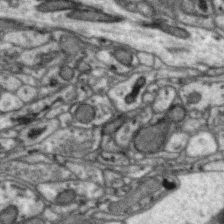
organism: Zebra finch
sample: Brain